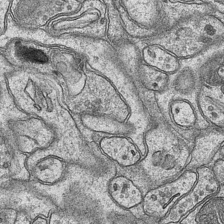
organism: Mouse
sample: CA1 Hippocampus